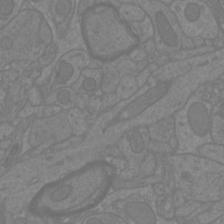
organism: Mouse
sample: Cortical neurons